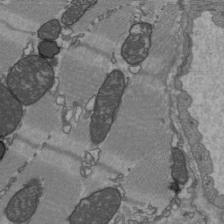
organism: C57BL Mouse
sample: Heart